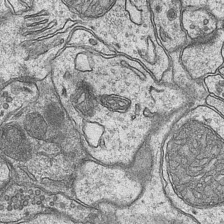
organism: Mouse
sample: CA1 Hippocampus